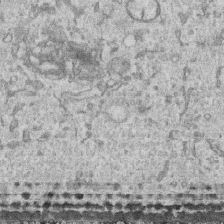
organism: Human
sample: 1205lu cells